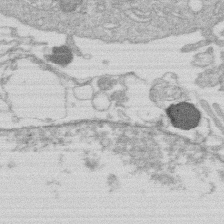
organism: Human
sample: Macrophage cells